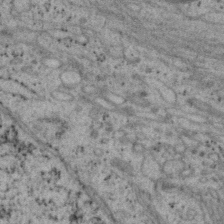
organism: Human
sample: HeLa cells